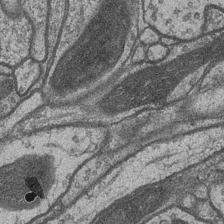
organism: Drosophila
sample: Optic medulla